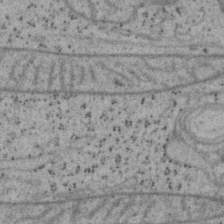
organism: Human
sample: HeLa cells